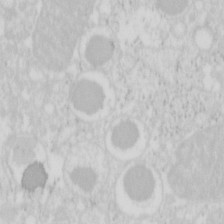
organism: Mouse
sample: Pancreas